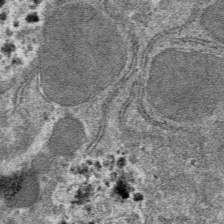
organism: Mouse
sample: Mouse hepatocytes